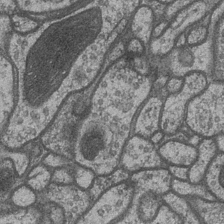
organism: Drosophila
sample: Optic medulla